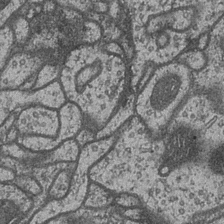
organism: Drosophila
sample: Optic medulla